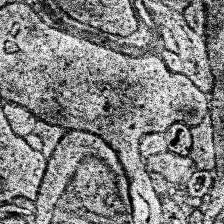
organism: Human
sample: Temporal Lobe